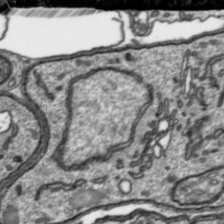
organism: Toxoplasma gondii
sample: Parasites in a vacuole inside a host cell